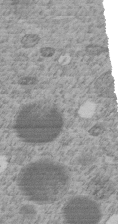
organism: C. elegans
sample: C. elegans embryo early stage